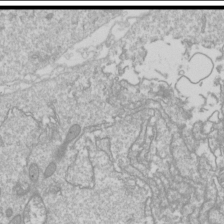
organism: Drosophila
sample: Cell division; meiosis; drosophila spermatocytes